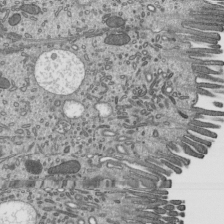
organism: Mouse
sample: Mouse epididymis efferent ductule cilia